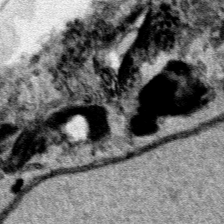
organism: Human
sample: Mitochondria in HCT116 cells